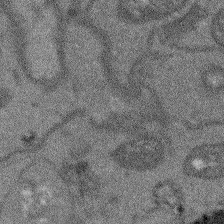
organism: Arabidopsis thaliana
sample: Root tip